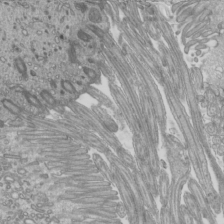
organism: Mouse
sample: Cilia; mouse epididymis